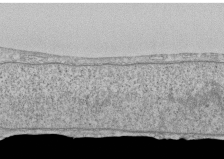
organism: Human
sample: CRL-1474